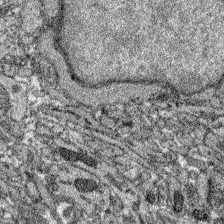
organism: Zebrafish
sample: Larval olfactory bulb